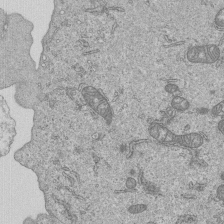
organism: Human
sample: MDA-MB-231 cells